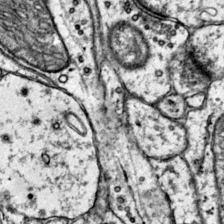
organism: Mouse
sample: Primary visual cortex